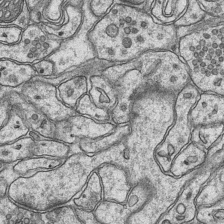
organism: Mouse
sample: CA1 Hippocampus